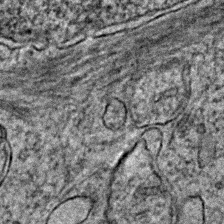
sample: Trachea